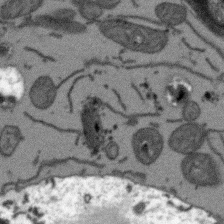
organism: Arabidopsis thaliana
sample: Root tip